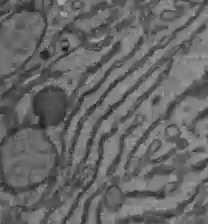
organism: C57BL Mouse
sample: Liver